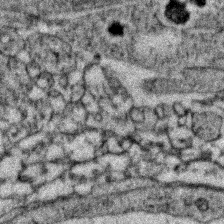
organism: Zebrafish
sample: Zebrafish embryo